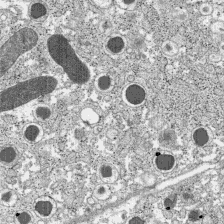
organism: C57BL Mouse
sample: Pancreatic islet